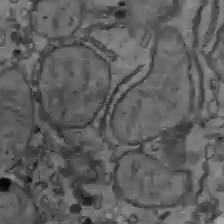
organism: C57BL Mouse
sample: Liver